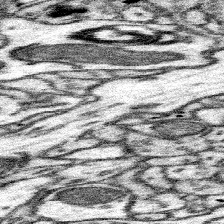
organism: Mouse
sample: Somatosensory cortex neuropil